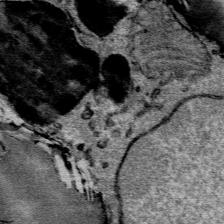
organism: Mouse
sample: Mouse Salivary gland